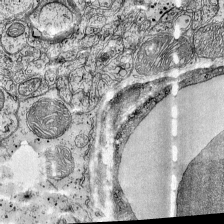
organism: Mouse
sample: Visual Cortex